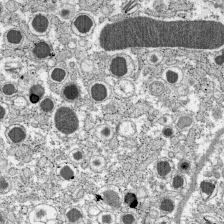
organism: C57BL Mouse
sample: Pancreatic islet